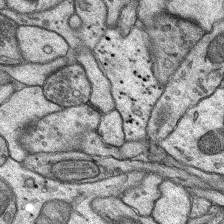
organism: Rat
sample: Hippocampus